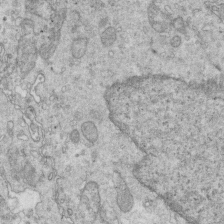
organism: Mouse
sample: Multiciliated cells